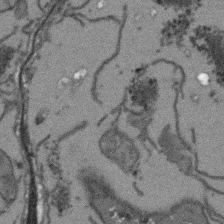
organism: Arabidopsis thaliana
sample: Root tip